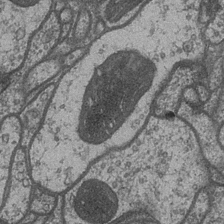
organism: Drosophila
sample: Optic medulla